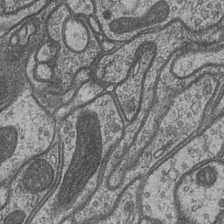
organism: Drosophila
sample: Optic medulla